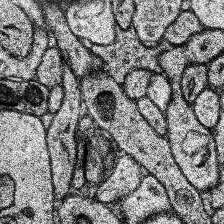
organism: Human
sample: Temporal Lobe